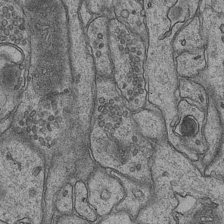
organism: Mouse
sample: CA1 Hippocampus